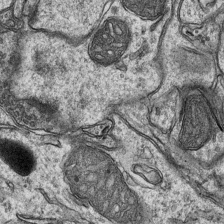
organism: Mouse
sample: CA1 Hippocampus